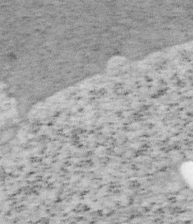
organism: Mouse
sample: OT-I killer T cells with ID8 ovarian cancer cells